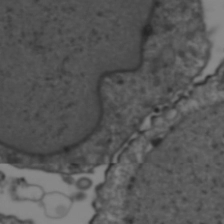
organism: Human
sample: HIV-1 Gag-iGFP